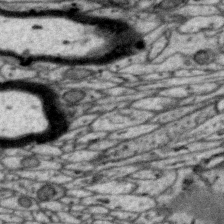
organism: Zebra finch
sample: Brain